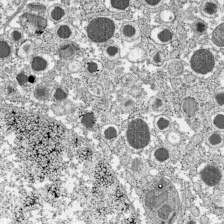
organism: C57BL Mouse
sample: Pancreatic islet